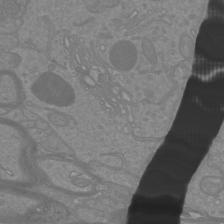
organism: Mouse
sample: Cortical neurons